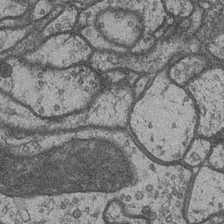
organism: Drosophila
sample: Optic medulla